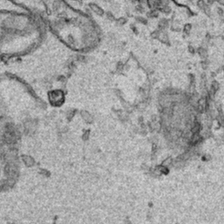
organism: Human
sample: Mitochondria in HCT116 cells